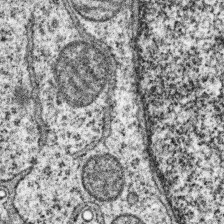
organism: Human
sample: HeLa cells